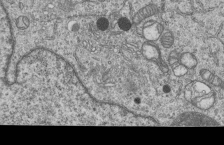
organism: Human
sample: MDA-MB-231 cells